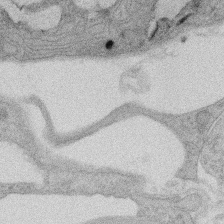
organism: Rat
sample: Salivary granule